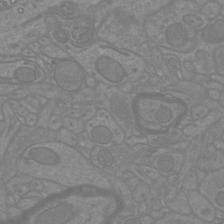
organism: Mouse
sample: Cortical neurons